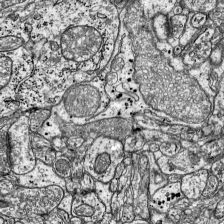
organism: Mouse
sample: Visual Cortex